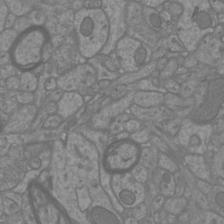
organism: Mouse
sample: Cortical neurons